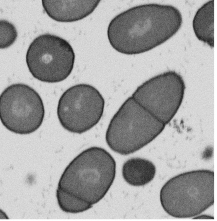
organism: B. subtilis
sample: Bacterial spore